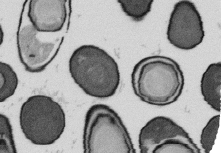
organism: B. subtilis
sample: Bacterial spore